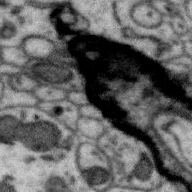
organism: Zebra finch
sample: Brain